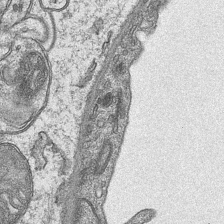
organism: Mouse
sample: CA1 Hippocampus